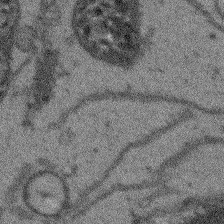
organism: Arabidopsis thaliana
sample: Root tip